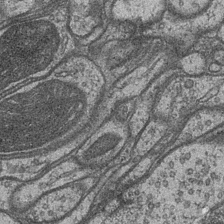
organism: Drosophila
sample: Optic medulla